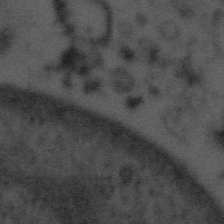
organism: Tuwongella immobilis